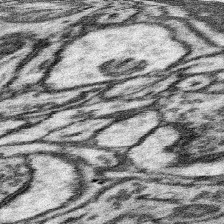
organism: Mouse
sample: Somatosensory cortex neuropil